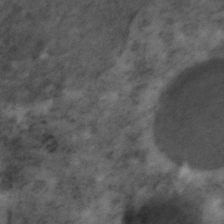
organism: C. elegans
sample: C. elegans embryo